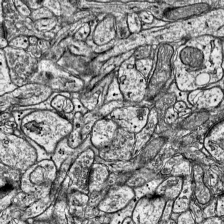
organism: Mouse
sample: Visual Cortex